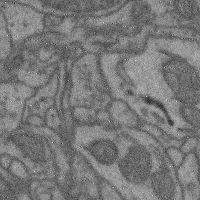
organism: Mouse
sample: Cerebral cortex